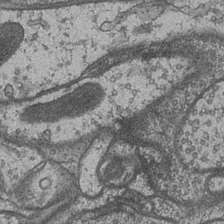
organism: Drosophila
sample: Optic medulla